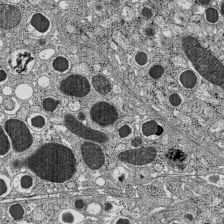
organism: C57BL Mouse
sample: Pancreatic islet